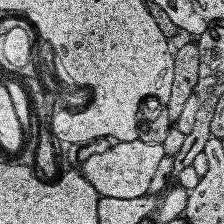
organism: Human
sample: Temporal Lobe